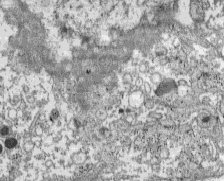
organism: C57BL Mouse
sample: Pancreatic islet